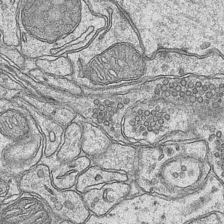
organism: Mouse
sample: CA1 Hippocampus